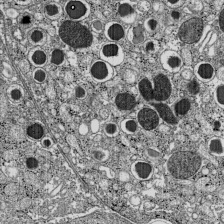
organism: C57BL Mouse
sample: Pancreatic islet